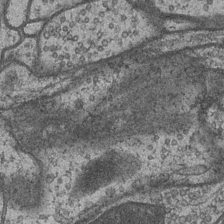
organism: Drosophila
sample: Optic medulla